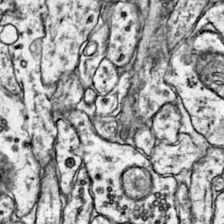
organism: Mouse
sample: Primary visual cortex